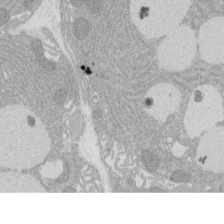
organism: Rat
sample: Salivary granule